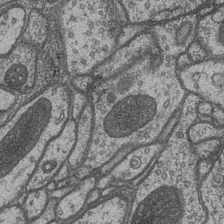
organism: Drosophila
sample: Optic medulla